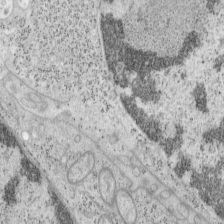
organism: Mouse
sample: OT-I killer T cells with ID8 ovarian cancer cells